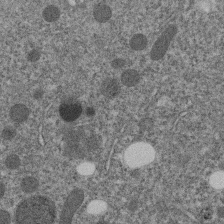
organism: C. elegans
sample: C. elegans embryo early stage